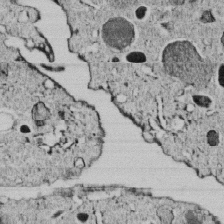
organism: C. elegans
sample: C. elegans embryo early stage